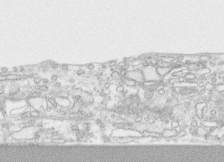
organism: Human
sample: CRL-1474